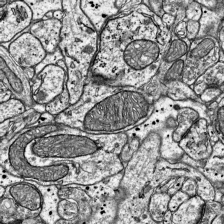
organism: Mouse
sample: Visual Cortex